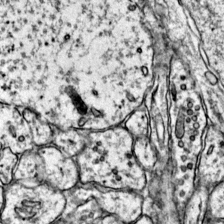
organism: Mouse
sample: Primary visual cortex